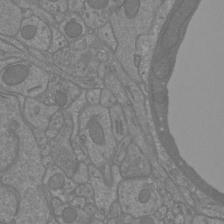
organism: Mouse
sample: Cortical neurons